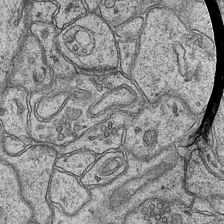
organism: Mouse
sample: CA1 Hippocampus